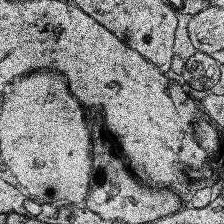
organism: Human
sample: Temporal Lobe